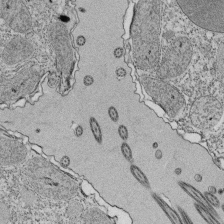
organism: Tetrahymena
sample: Cilia in tetrahymena